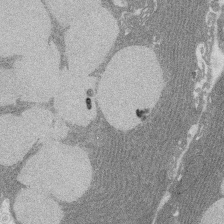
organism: Rat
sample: Salivary granule